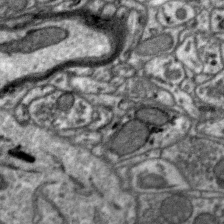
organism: Zebra finch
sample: Brain